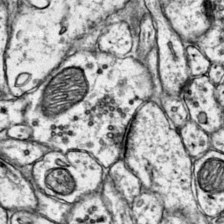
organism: Mouse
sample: Primary visual cortex